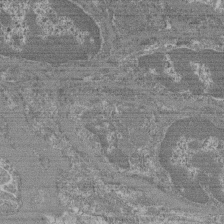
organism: Mouse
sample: Glomerulus